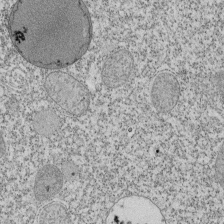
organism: Tetrahymena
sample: Cilia in tetrahymena